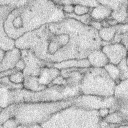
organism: Rabbit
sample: Retina